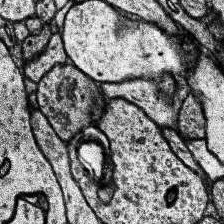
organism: Human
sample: Temporal Lobe